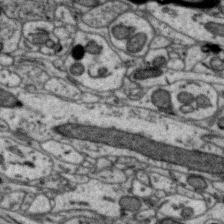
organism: Zebra finch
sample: Brain